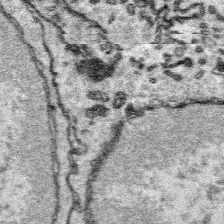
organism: Platynereis dumerilii